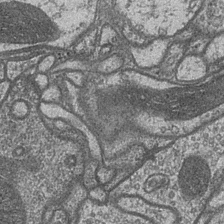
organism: Drosophila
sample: Optic medulla